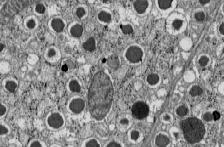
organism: C57BL Mouse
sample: Pancreatic islet